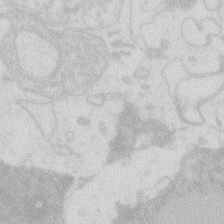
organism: Zebrafish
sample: Macrophage